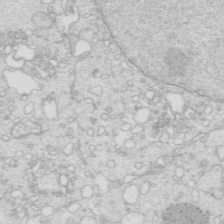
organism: Mouse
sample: Multiciliated cells